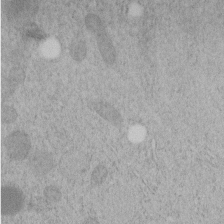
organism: C. elegans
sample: C. elegans embryo early stage